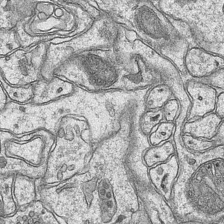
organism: Mouse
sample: CA1 Hippocampus